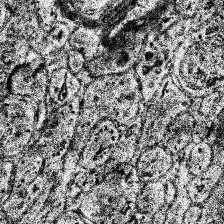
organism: Human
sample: Temporal Lobe